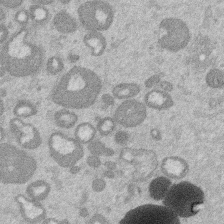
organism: Mouse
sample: Dividing mouse embryo 1 cell stage